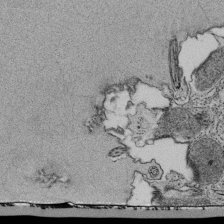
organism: Tetrahymena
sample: Cilia in tetrahymena